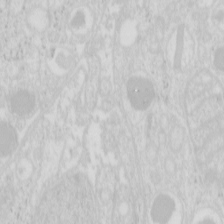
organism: Mouse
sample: Pancreas